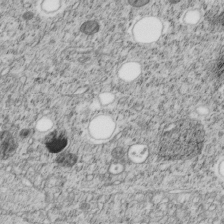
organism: C. elegans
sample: C. elegans embryo early stage